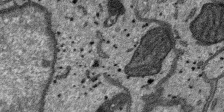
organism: Human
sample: Lung epithelial cells, uninfected (mock) control